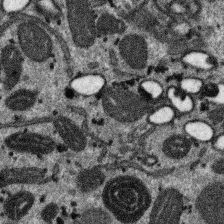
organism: Human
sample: Lung epithelial cells infected with SARS-CoV-2